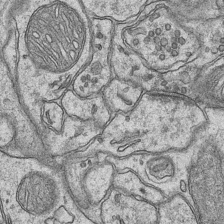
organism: Mouse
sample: CA1 Hippocampus